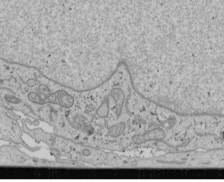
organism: Human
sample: Mitochondria in U2OS cells